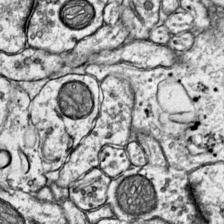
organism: Mouse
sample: Primary visual cortex